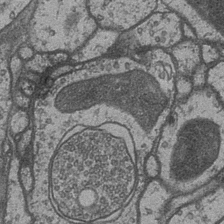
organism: Drosophila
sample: Optic medulla